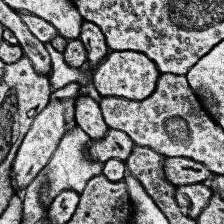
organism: Human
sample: Temporal Lobe